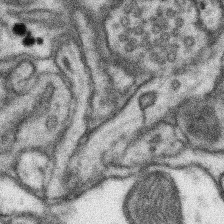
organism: Mouse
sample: Somatosensory cortex neuropil